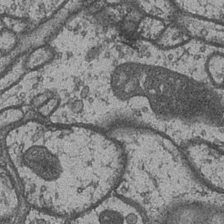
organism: Drosophila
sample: Optic medulla